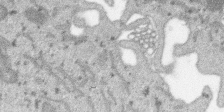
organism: Human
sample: Lung epithelial cells infected with SARS-CoV-2